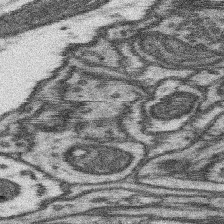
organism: Mouse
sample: Somatosensory cortex neuropil